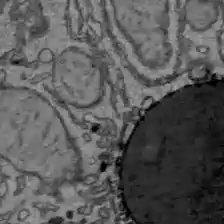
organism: C57BL Mouse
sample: Liver